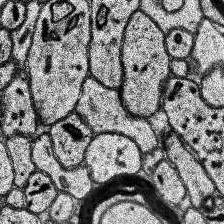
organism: Human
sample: Temporal Lobe